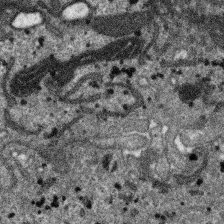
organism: Human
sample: Lung epithelial cells infected with SARS-CoV-2